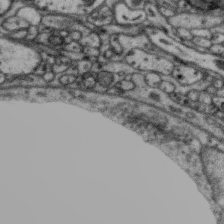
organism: Zebra finch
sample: Brain